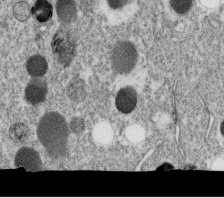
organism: C. elegans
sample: C. elegans oocyte; sperm cells